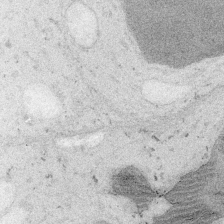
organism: Embia sp.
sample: Silk gland